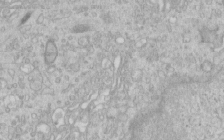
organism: Human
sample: Centriole in RPE cells